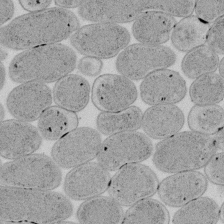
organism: E. coli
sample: Bacterial nucleoid